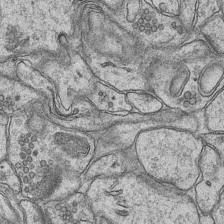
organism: Mouse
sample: CA1 Hippocampus